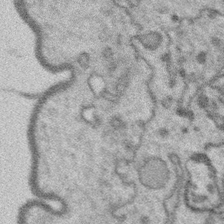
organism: Platynereis dumerilii